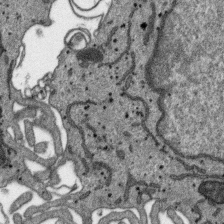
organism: Human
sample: Lung epithelial cells, uninfected (mock) control